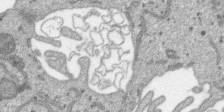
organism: Human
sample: Lung epithelial cells infected with SARS-CoV-2